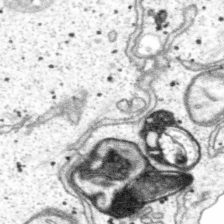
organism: Human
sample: HeLa cells